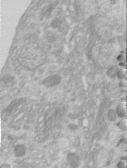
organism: Human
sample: Centriole in RPE cells